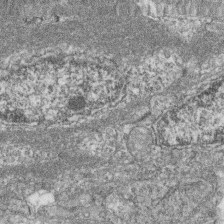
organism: Zebrafish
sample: Cilia; retinal pigment epithelium